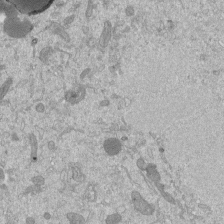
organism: Mouse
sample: ED-1 cell nuclei; centrioles